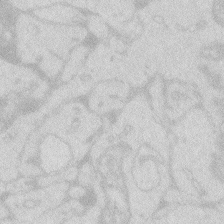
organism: Zebrafish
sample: Macrophage